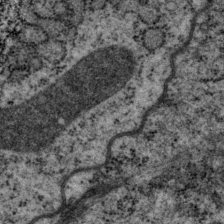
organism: P. pacificus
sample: Pharynx